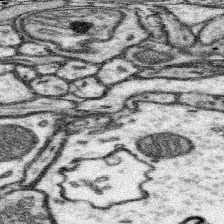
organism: Mouse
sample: Somatosensory cortex neuropil